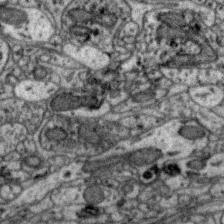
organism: Zebra finch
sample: Brain